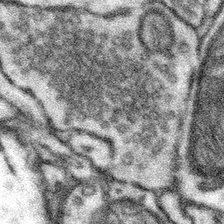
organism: Mouse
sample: Somatosensory cortex neuropil